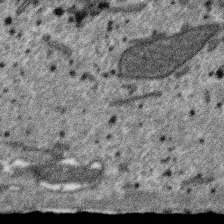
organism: Human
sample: Lung epithelial cells infected with SARS-CoV-2